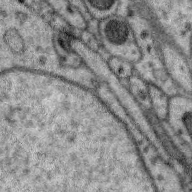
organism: Zebra finch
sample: Brain